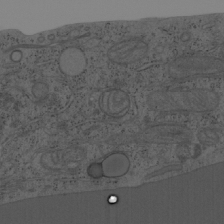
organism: Human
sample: HeLa cells